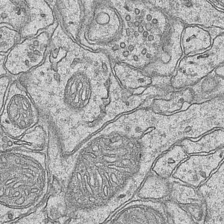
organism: Mouse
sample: CA1 Hippocampus